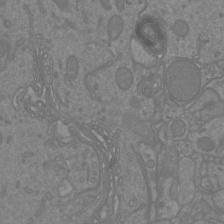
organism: Mouse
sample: Cortical neurons